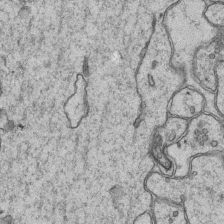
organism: Mouse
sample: CA1 Hippocampus